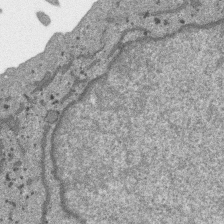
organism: Human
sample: Lung epithelial cells infected with SARS-CoV-2